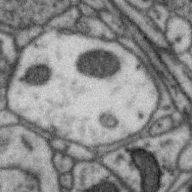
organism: Zebra finch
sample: Brain